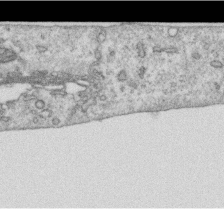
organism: Human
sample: Centriole in RPE cells